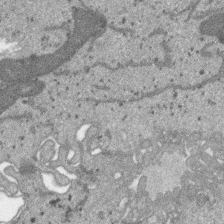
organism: Human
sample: Lung epithelial cells infected with SARS-CoV-2